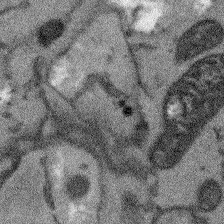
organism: Arabidopsis thaliana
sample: Root tip